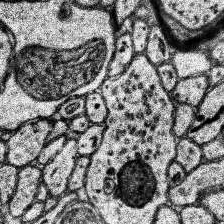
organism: Human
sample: Temporal Lobe